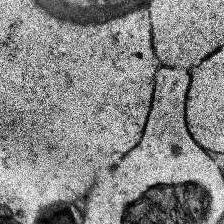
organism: Human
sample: Temporal Lobe